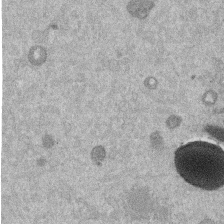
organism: Mouse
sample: Dividing mouse embryo 1 cell stage